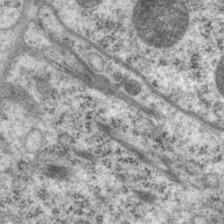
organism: P. pacificus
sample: Pharynx